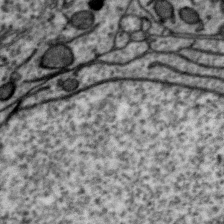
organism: Zebra finch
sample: Brain